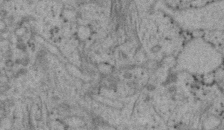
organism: Human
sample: HeLa cells